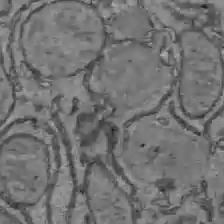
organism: C57BL Mouse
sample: Liver